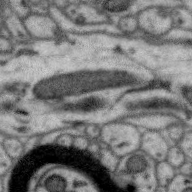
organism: Zebra finch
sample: Brain